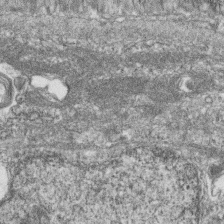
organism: Zebrafish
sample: Cilia; retinal pigment epithelium